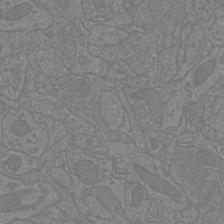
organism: Mouse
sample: Cortical neurons